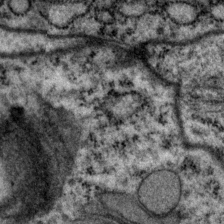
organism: P. pacificus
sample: Pharynx